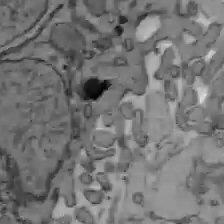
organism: C57BL Mouse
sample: Liver